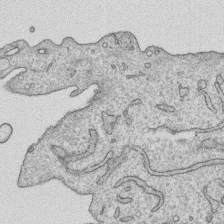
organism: Human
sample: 1205lu cells